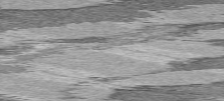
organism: C57BL Mouse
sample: Heart